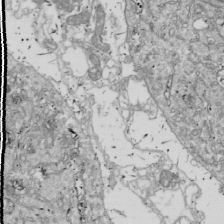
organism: Drosophila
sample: Cell division; meiosis; drosophila spermatocytes